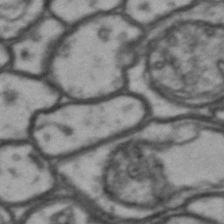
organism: Drosophila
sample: Brain